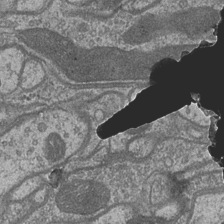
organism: Drosophila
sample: Optic medulla